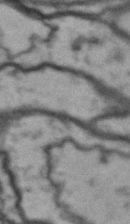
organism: Drosophila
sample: Brain